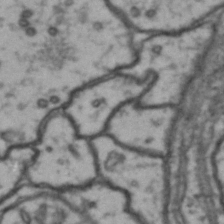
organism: Drosophila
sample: Brain